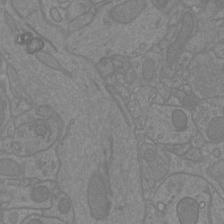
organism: Mouse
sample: Cortical neurons